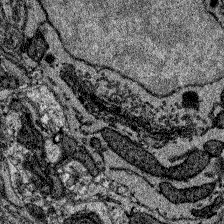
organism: Zebrafish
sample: Larval olfactory bulb